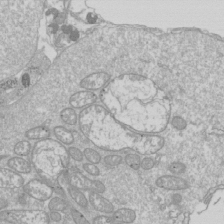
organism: Drosophila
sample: Cell division; meiosis; drosophila spermatocytes